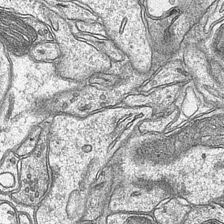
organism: Mouse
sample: CA1 Hippocampus